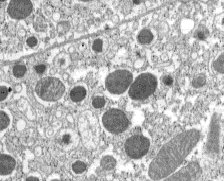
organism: C57BL Mouse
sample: Pancreatic islet